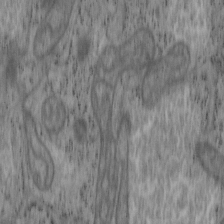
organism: Human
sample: HeLa cells